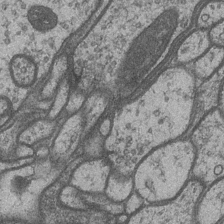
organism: Drosophila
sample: Optic medulla